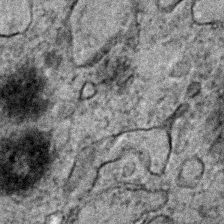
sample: Trachea